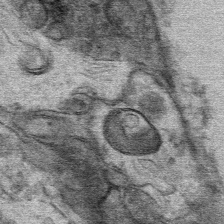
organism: Mouse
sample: Mouse Salivary gland